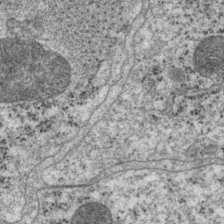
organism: P. pacificus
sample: Pharynx